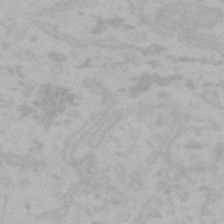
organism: Mouse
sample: Choroid plexus